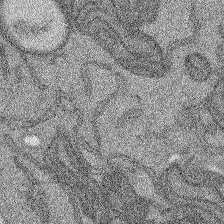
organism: Human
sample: HeLa cells